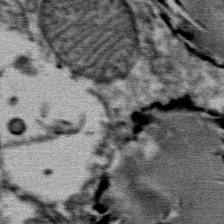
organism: Mouse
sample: Mouse Salivary gland